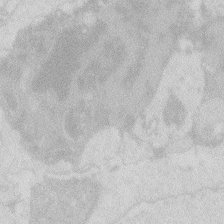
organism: Zebrafish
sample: Macrophage